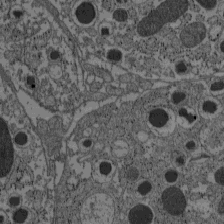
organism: C57BL Mouse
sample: Pancreatic islet